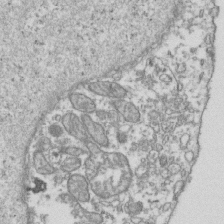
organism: Human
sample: Activated Jurkat CD4+ T cells